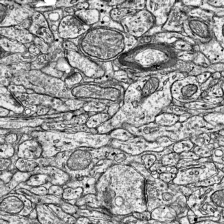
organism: Mouse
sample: Visual Cortex